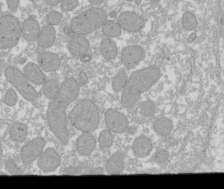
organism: Xenopus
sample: Cilia; centrioles in frog embryo cells